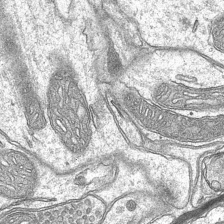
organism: Mouse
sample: CA1 Hippocampus